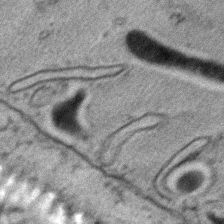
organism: C. elegans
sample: C. elegans embryo